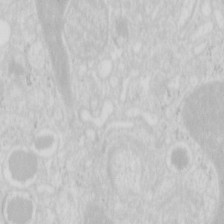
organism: Mouse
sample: Pancreas